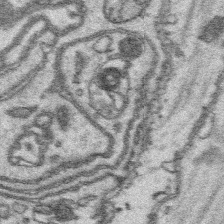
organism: Platynereis dumerilii